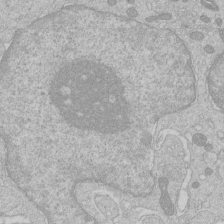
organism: Human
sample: Macrophage cells